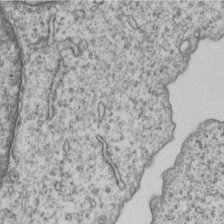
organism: Human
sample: MDA-MB-231 cells